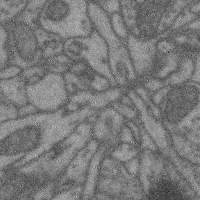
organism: Mouse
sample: Cerebral cortex